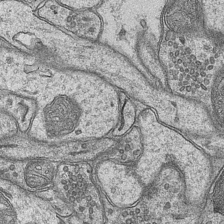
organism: Mouse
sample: CA1 Hippocampus